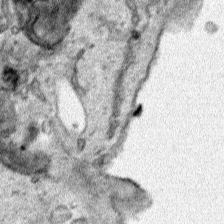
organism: Human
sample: Mitochondria in HCT116 cells